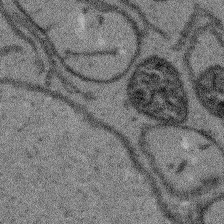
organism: Arabidopsis thaliana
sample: Root tip